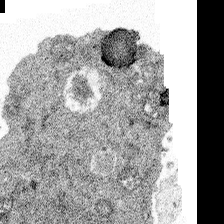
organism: Spongilla lacustris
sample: Multiple